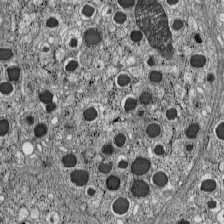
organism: C57BL Mouse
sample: Pancreatic islet